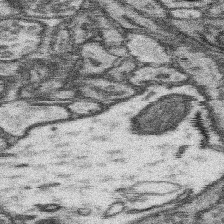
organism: Mouse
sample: Somatosensory cortex neuropil